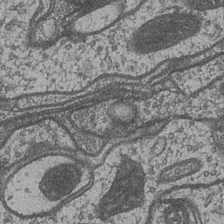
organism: Drosophila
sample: Optic medulla